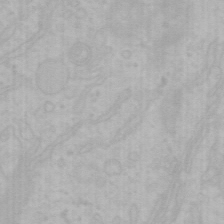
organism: Mouse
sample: Choroid plexus